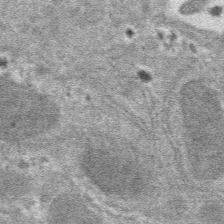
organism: Mouse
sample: Mouse hepatocytes